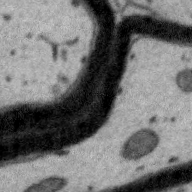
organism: Zebra finch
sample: Brain